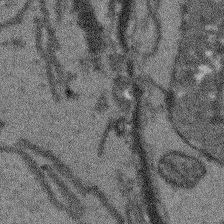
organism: Arabidopsis thaliana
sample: Root tip